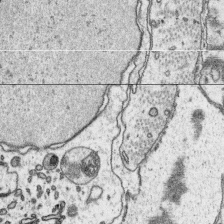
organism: Platynereis dumerilii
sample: Parapodia